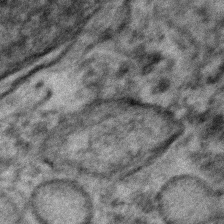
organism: Human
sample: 1205lu cells